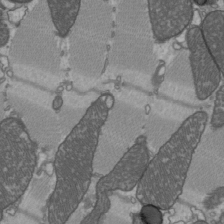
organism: C57BL Mouse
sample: Heart